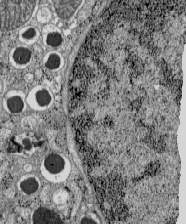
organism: C57BL Mouse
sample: Pancreatic islet